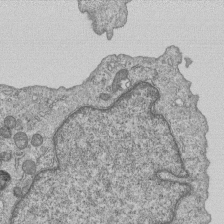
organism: Human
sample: MDA-MB-231 cells